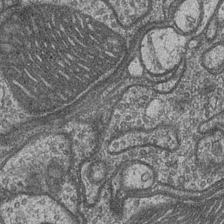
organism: Drosophila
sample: Optic medulla